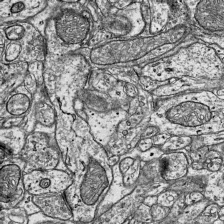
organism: Mouse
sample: Visual Cortex